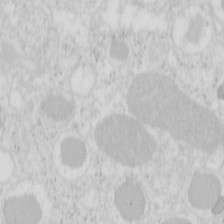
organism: Mouse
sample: Pancreas